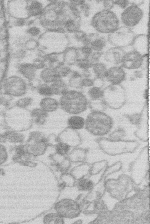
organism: Human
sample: Macrophage cells